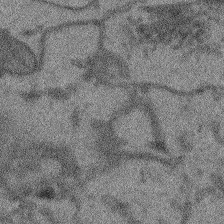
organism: Arabidopsis thaliana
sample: Root tip